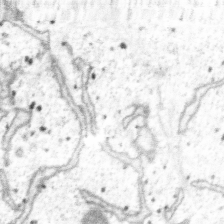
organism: Human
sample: HeLa cells